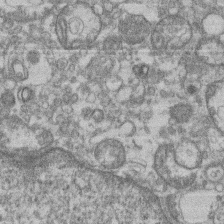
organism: Mouse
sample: T cell stromal cell synapse